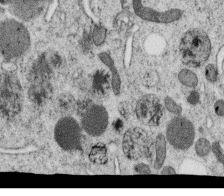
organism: C. elegans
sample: C. elegans oocyte; sperm cells